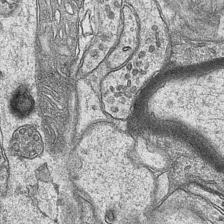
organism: Mouse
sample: CA1 Hippocampus